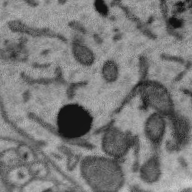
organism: Zebra finch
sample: Brain